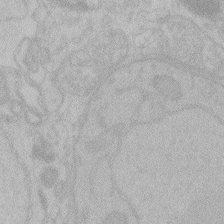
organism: Zebrafish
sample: Macrophage infected with Toxoplasma gondii